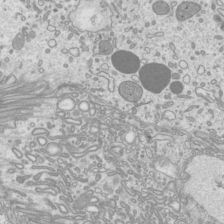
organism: Mouse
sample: Cilia; mouse epididymis